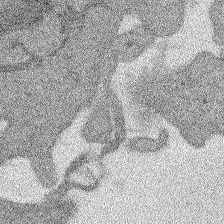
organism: Human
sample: HeLa cells